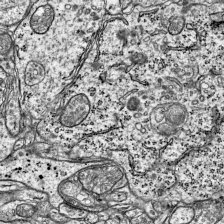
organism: Mouse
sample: Visual Cortex